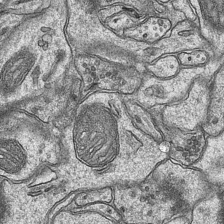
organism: Mouse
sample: CA1 Hippocampus